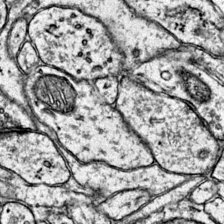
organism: Mouse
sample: Primary visual cortex